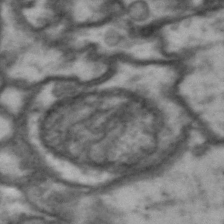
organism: Drosophila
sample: Brain